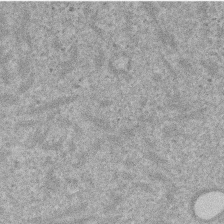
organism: Mouse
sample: Dividing mouse embryo 1 cell stage